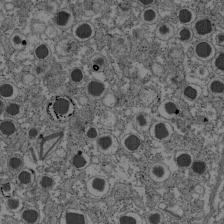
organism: C57BL Mouse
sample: Pancreatic islet